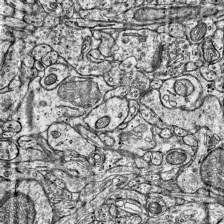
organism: Mouse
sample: Visual Cortex